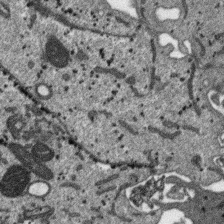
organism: Human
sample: Lung epithelial cells infected with SARS-CoV-2